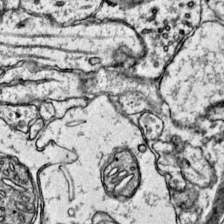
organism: Mouse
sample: Primary visual cortex